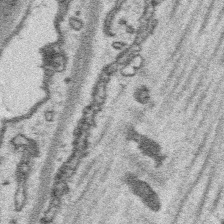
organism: Platynereis dumerilii